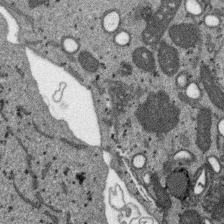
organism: Human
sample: Lung epithelial cells infected with SARS-CoV-2